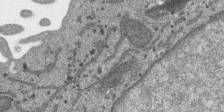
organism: Human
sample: Lung epithelial cells infected with SARS-CoV-2